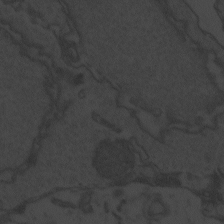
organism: Zebrafish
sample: Macrophage infected with Toxoplasma gondii